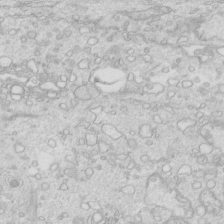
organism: Mouse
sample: Multiciliated cells